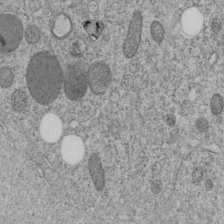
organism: C. elegans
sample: C. elegans embryo early stage